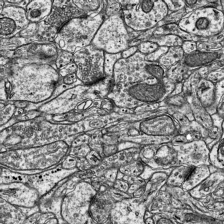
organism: Mouse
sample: Visual Cortex